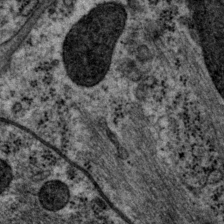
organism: P. pacificus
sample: Pharynx